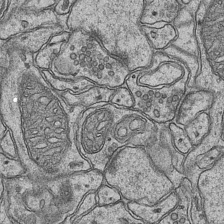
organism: Mouse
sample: CA1 Hippocampus